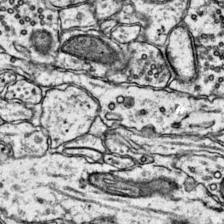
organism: Mouse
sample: Primary visual cortex